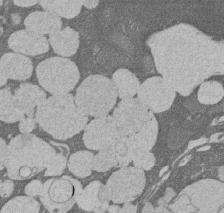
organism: Rat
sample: Salivary granule